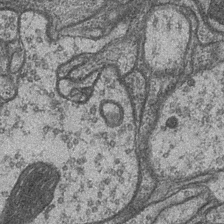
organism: Drosophila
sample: Optic medulla